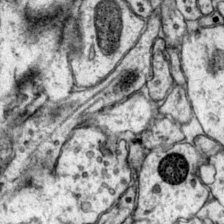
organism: Mouse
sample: Primary visual cortex